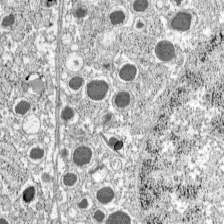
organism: C57BL Mouse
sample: Pancreatic islet